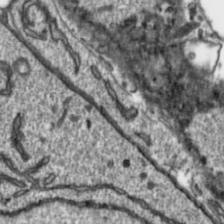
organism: Toxoplasma gondii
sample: Parasites in a vacuole inside a host cell